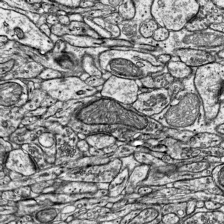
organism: Mouse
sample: Visual Cortex